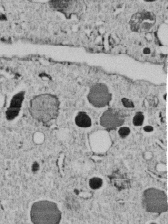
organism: C. elegans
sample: C. elegans embryo early stage